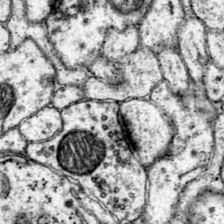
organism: Mouse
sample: Primary visual cortex